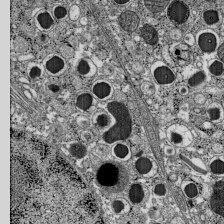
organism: C57BL Mouse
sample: Pancreatic islet